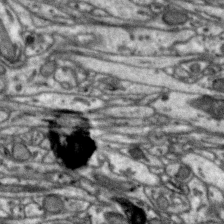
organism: Zebra finch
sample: Brain